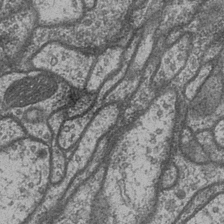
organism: Drosophila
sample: Optic medulla